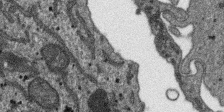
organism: Human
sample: Lung epithelial cells infected with SARS-CoV-2